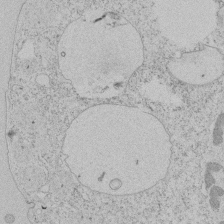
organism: Tetrahymena